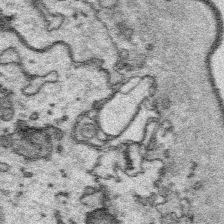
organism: Platynereis dumerilii